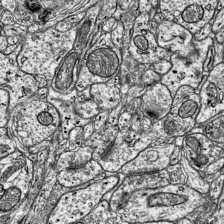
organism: Mouse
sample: Visual Cortex